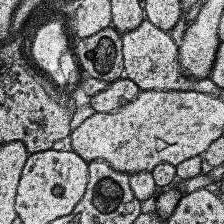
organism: Human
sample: Temporal Lobe